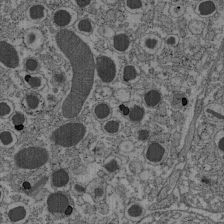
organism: C57BL Mouse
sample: Pancreatic islet